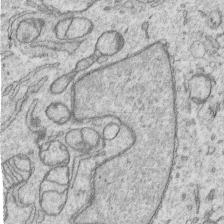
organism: Human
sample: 1205lu cells